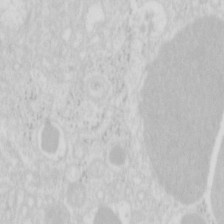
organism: Mouse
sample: Pancreas